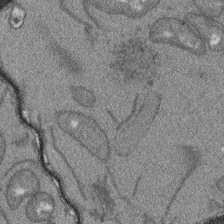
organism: Arabidopsis thaliana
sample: Root tip